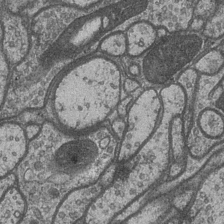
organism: Drosophila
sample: Optic medulla